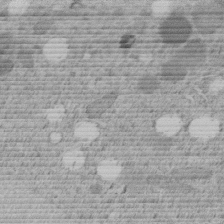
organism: C. elegans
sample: C. elegans embryo early stage